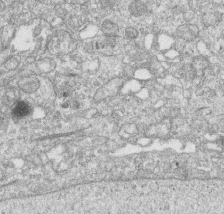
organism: Human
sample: HeLa cell HIV synapse